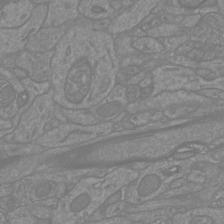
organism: Mouse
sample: Cortical neurons